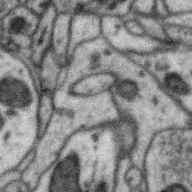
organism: Zebra finch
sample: Brain